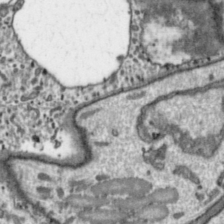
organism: Toxoplasma gondii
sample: Parasites in a vacuole inside a host cell